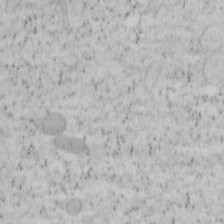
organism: Human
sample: HeLa cells